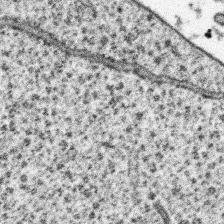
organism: Human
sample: HeLa cells